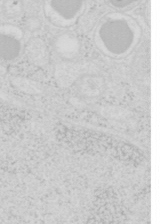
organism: Mouse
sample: Pancreas